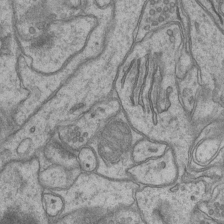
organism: Mouse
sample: CA1 Hippocampus